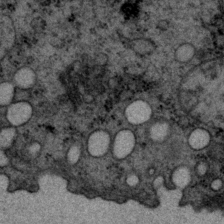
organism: P. pacificus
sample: Pharynx